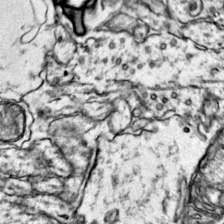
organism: Mouse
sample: Primary visual cortex